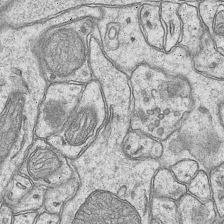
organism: Mouse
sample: CA1 Hippocampus